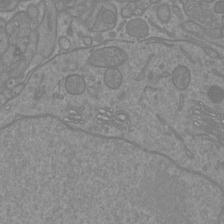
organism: Mouse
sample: Cortical neurons